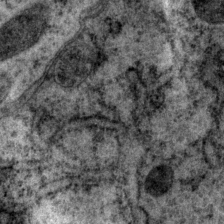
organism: P. pacificus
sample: Pharynx